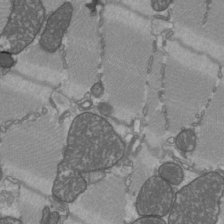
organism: C57BL Mouse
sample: Heart